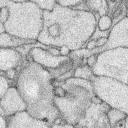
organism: Rabbit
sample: Retina